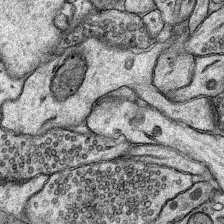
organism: Rat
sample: Hippocampus